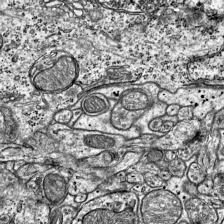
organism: Mouse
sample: Visual Cortex